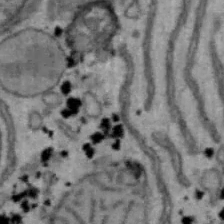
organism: Mouse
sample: Liver